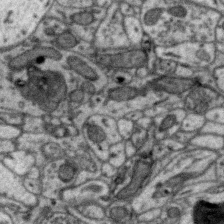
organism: Zebra finch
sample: Brain